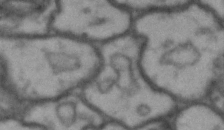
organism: Drosophila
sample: Brain